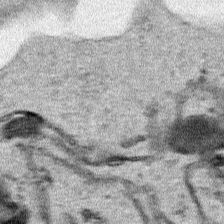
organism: Human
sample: Mitochondria in HCT116 cells